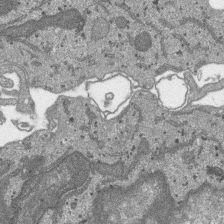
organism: Human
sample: Lung epithelial cells infected with SARS-CoV-2